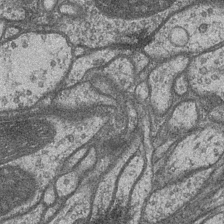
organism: Drosophila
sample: Optic medulla